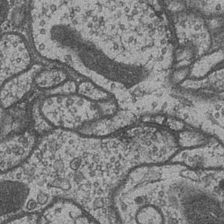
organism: Drosophila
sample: Optic medulla